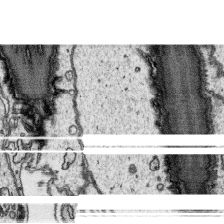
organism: Platynereis dumerilii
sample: Parapodia